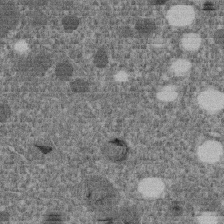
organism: C. elegans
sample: C. elegans embryo early stage